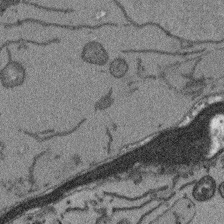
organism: Arabidopsis thaliana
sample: Root tip